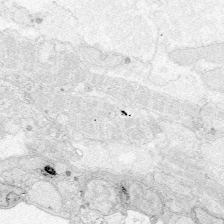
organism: Zebrafish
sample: Whole-Brain